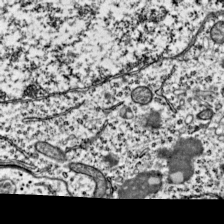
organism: Mouse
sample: Visual Cortex